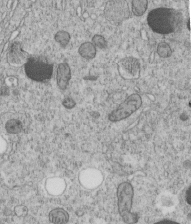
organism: C. elegans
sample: C. elegans embryo early stage